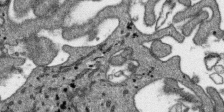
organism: Human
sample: Lung epithelial cells, uninfected (mock) control